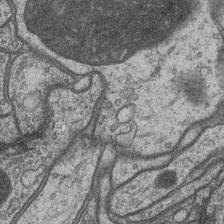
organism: Drosophila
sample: Optic medulla